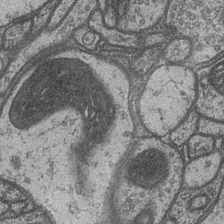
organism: Drosophila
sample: Optic medulla